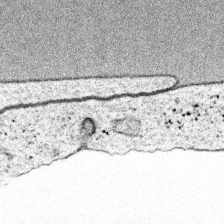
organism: Human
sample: HeLa cells